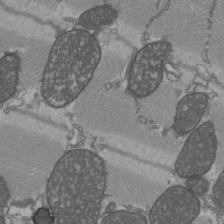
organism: C57BL Mouse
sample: Heart